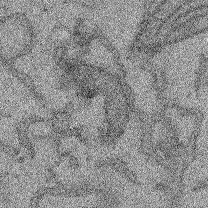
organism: Human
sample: HeLa cells